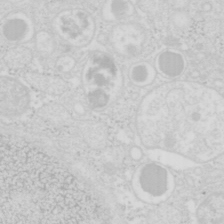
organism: Mouse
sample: Pancreas